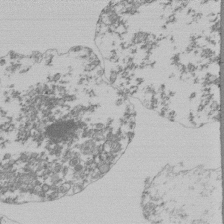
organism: Mouse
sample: Activated Pmel transgenic CD8+ T Cells